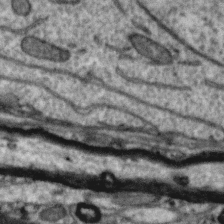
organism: Zebra finch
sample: Brain